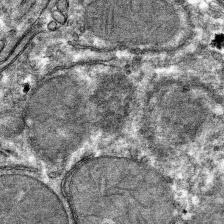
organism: Mouse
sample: Mouse hepatocytes